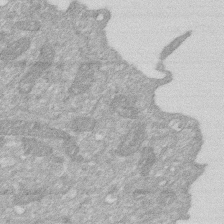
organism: Human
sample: HIV infected U937 cells